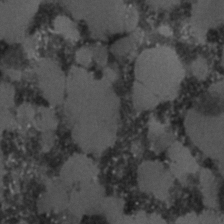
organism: C. elegans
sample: C. elegans embryo